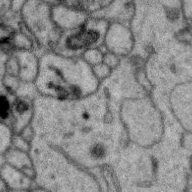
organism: Zebra finch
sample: Brain